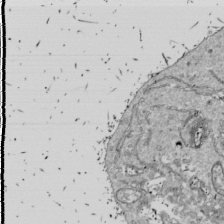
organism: Drosophila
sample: Cell division; meiosis; drosophila spermatocytes